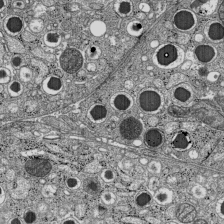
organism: C57BL Mouse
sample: Pancreatic islet